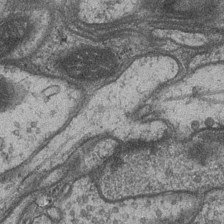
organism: Drosophila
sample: Optic medulla